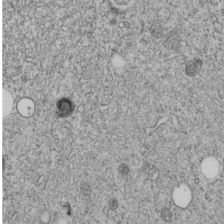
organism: C. elegans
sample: C. elegans embryo early stage